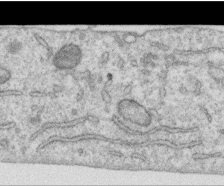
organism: Human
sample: Centriole in RPE cells